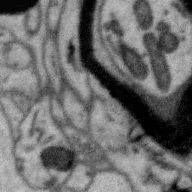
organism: Zebra finch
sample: Brain